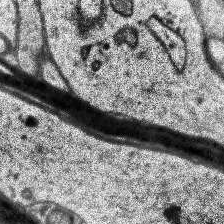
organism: Human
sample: Temporal Lobe